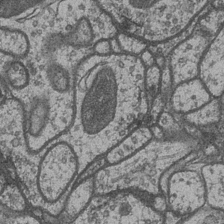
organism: Drosophila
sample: Optic medulla